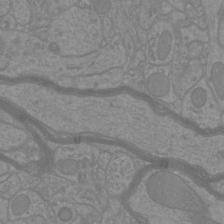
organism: Mouse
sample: Cortical neurons